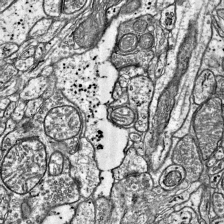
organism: Mouse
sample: Visual Cortex